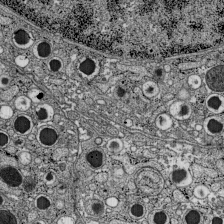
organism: C57BL Mouse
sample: Pancreatic islet